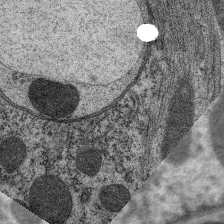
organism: C. elegans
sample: Pharynx